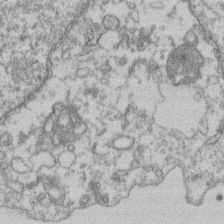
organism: Mouse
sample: T cell stromal cell synapse